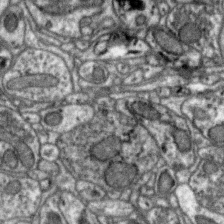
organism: Zebra finch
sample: Brain